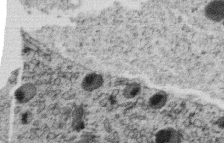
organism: C. elegans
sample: C. elegans oocyte; sperm cells